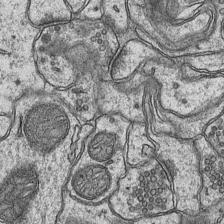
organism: Mouse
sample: CA1 Hippocampus